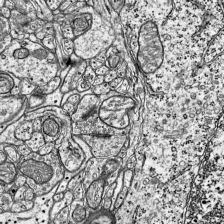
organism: Mouse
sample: Visual Cortex